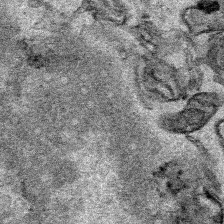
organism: Human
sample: Mitochondria in HCT116 cells